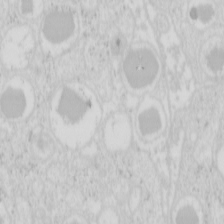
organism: Mouse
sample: Pancreas